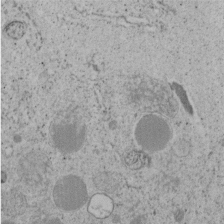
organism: C. elegans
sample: C. elegans embryo early stage